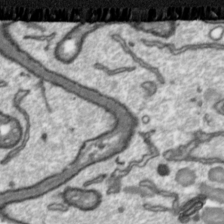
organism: Toxoplasma gondii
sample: Parasites in a vacuole inside a host cell